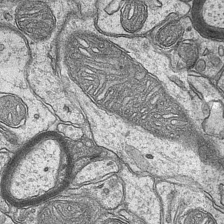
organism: Mouse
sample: CA1 Hippocampus